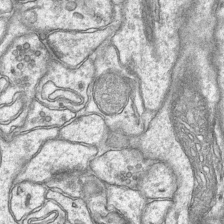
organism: Mouse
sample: CA1 Hippocampus